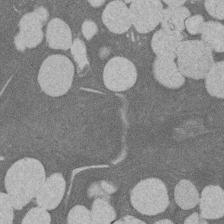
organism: Rat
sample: Salivary granule